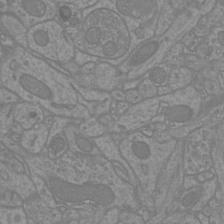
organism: Mouse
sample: Cortical neurons